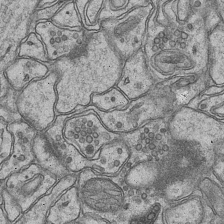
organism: Mouse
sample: CA1 Hippocampus